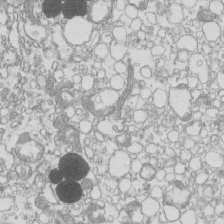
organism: Mouse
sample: Macrophages